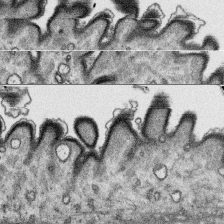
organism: Platynereis dumerilii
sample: Parapodia